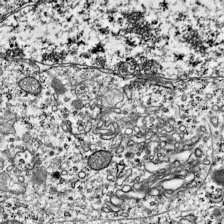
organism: Mouse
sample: Visual Cortex